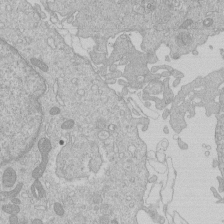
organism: Human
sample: Macrophage cells